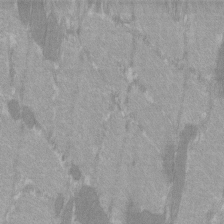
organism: C57BL Mouse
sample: Tibialis anterior muscle cell